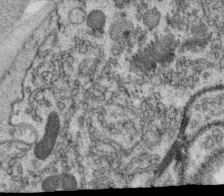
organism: C. elegans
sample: C. elegans oocyte; sperm cells